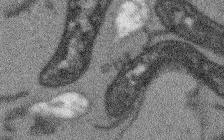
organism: Arabidopsis thaliana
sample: Root tip